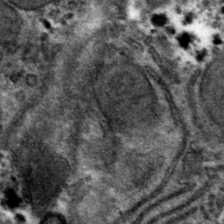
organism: Mouse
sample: Mouse hepatocytes